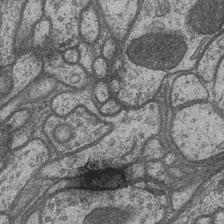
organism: Drosophila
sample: Optic medulla